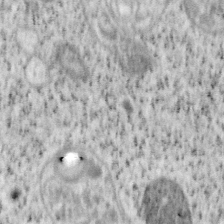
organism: Mouse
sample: OT-I killer T cells with ID8 ovarian cancer cells